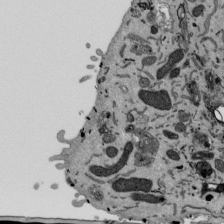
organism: Mouse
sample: ED-1 cell nuclei; centrioles